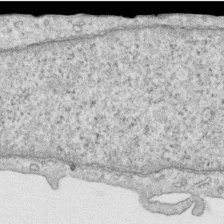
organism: Human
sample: Centriole in RPE cells